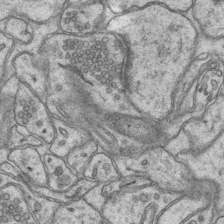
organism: Mouse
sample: CA1 Hippocampus